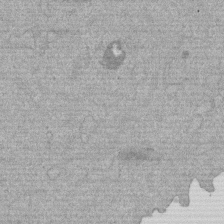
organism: Mouse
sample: Dividing mouse embryo 1 cell stage